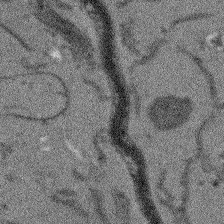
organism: Arabidopsis thaliana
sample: Root tip